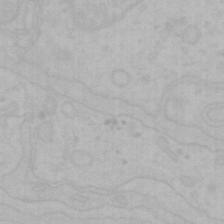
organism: Mouse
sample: Choroid plexus